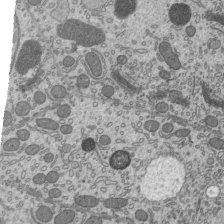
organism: Mouse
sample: Mouse epididymis efferent ductule cilia